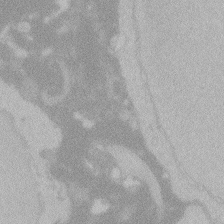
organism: Zebrafish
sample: Macrophage infected with Toxoplasma gondii